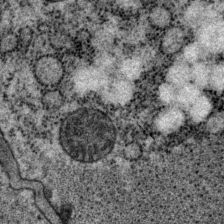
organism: P. pacificus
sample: Pharynx